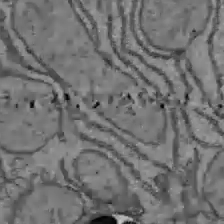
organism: C57BL Mouse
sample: Liver